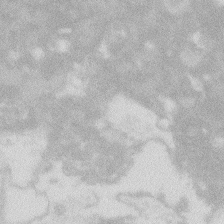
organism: Zebrafish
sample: Macrophage